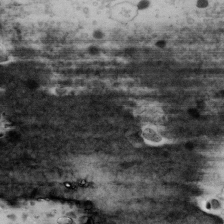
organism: Human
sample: U2-OS cells